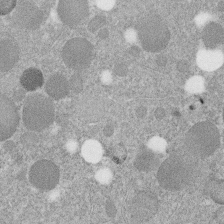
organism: C. elegans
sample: C. elegans embryo early stage